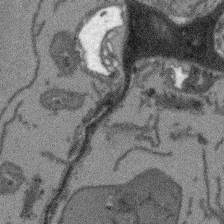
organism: Arabidopsis thaliana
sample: Root tip